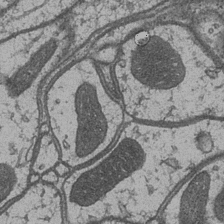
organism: Drosophila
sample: Optic medulla